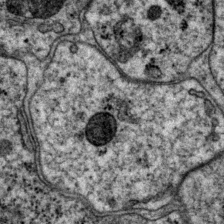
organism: P. pacificus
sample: Pharynx